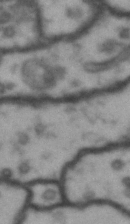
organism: Drosophila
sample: Brain